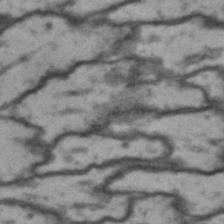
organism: Drosophila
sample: Brain